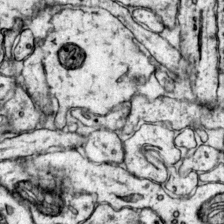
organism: Mouse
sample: Primary visual cortex